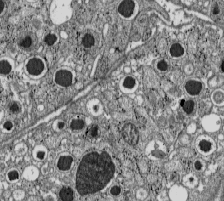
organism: C57BL Mouse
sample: Pancreatic islet